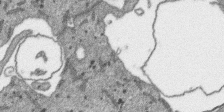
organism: Human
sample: Lung epithelial cells infected with SARS-CoV-2